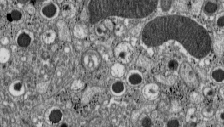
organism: C57BL Mouse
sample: Pancreatic islet